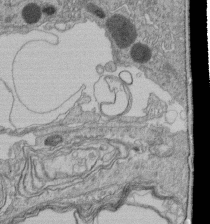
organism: Human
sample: Retinal organoid Rod and Cone cells